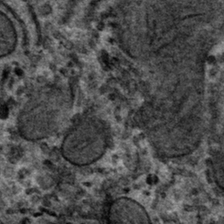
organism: Mouse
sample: Mouse hepatocytes